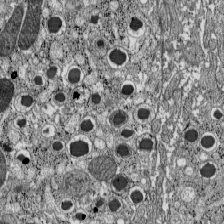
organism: C57BL Mouse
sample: Pancreatic islet